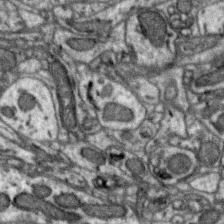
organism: Zebra finch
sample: Brain